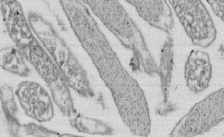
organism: E. coli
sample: Bacterial nucleoid